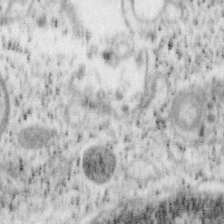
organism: Mouse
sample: OT-I killer T cells with ID8 ovarian cancer cells